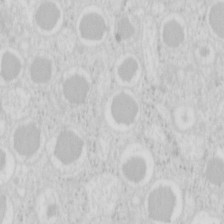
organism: Mouse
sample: Pancreas